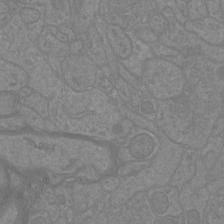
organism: Mouse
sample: Cortical neurons